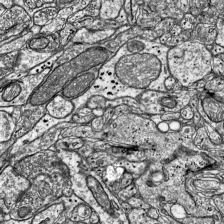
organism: Mouse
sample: Visual Cortex